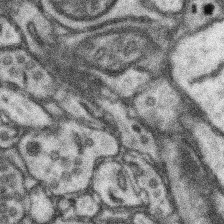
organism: Mouse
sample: Somatosensory cortex neuropil